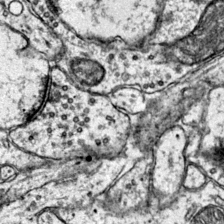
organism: Mouse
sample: Primary visual cortex